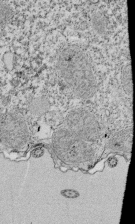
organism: Tetrahymena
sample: Cilia in tetrahymena